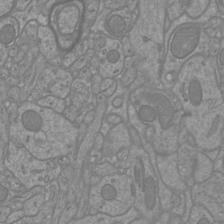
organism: Mouse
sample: Cortical neurons